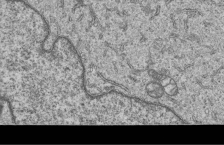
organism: Human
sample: MDA-MB-231 cells